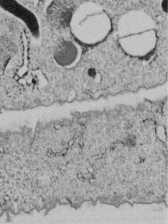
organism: C. elegans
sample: C. elegans embryo early stage